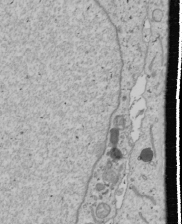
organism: Human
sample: Mitochondria in U2OS cells